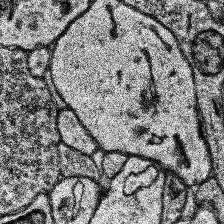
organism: Human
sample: Temporal Lobe